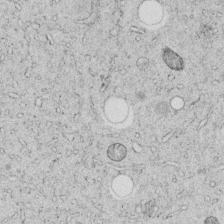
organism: C. elegans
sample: C. elegans embryo early stage